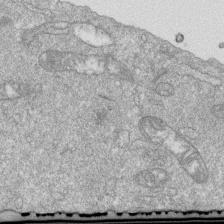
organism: Human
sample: HeLa cell HIV synapse